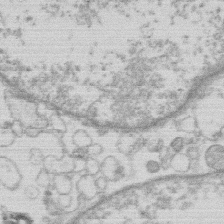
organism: Human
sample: Macrophage cells